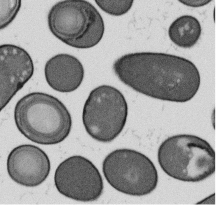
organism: B. subtilis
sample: Bacterial spore